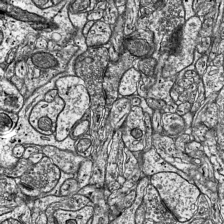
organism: Mouse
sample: Visual Cortex